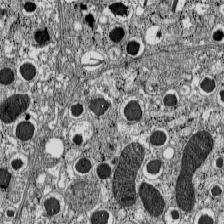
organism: C57BL Mouse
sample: Pancreatic islet